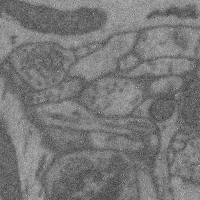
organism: Mouse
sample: Cerebral cortex